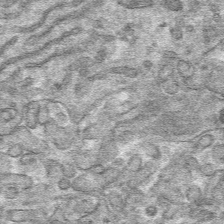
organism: Mouse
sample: Mouse hepatocytes